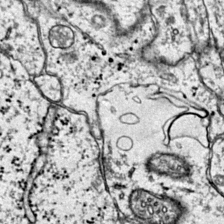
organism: Mouse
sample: Primary visual cortex